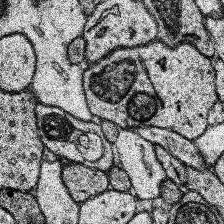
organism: Human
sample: Temporal Lobe